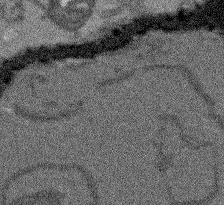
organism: Arabidopsis thaliana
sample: Root tip